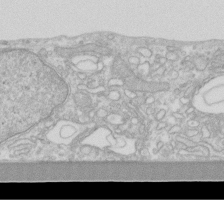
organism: Human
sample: Fibroblast cells